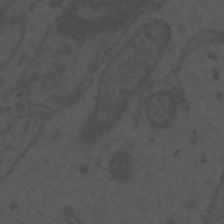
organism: Mouse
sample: Suprachiasmatic nucleus